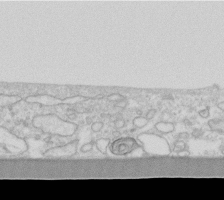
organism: Human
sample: Fibroblast cells